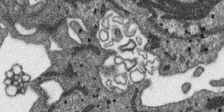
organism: Human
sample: Lung epithelial cells infected with SARS-CoV-2